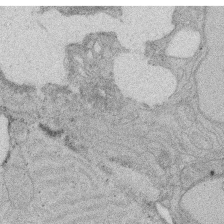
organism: Rat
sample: Salivary granule